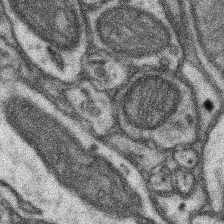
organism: Mouse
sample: Somatosensory cortex neuropil